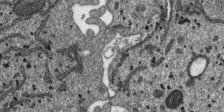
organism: Human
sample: Lung epithelial cells infected with SARS-CoV-2